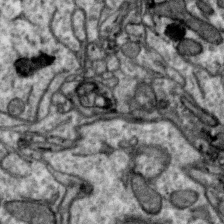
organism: Zebra finch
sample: Brain